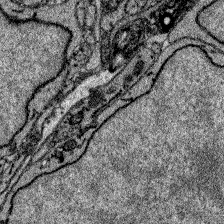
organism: Zebrafish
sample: Larval olfactory bulb